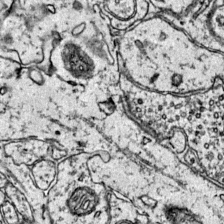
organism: Mouse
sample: Primary visual cortex